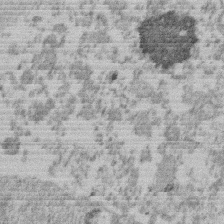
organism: Mouse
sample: Dividing mouse embryo 1 cell stage